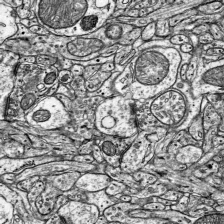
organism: Mouse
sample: Visual Cortex